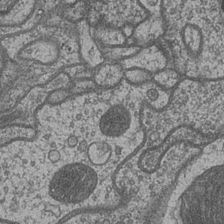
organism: Drosophila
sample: Optic medulla